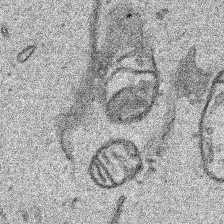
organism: Human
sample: Mitochondria in HCT116 cells